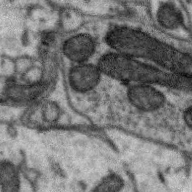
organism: Zebra finch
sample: Brain